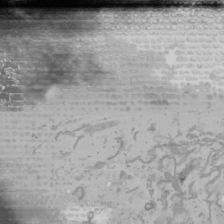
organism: Mouse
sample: Cancer cell death in ED-1 cells